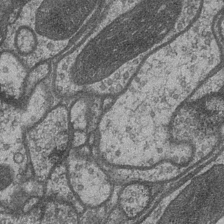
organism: Drosophila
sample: Optic medulla